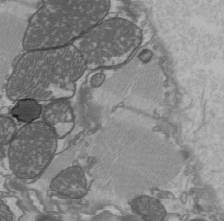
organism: C57BL Mouse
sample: Heart